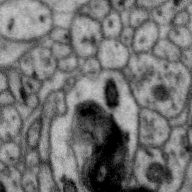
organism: Zebra finch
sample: Brain